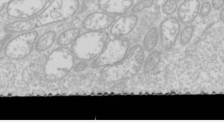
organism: Drosophila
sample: Cell division; meiosis; drosophila spermatocytes